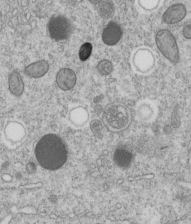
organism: C. elegans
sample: C. elegans embryo early stage